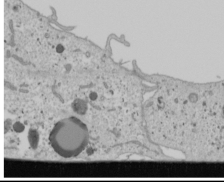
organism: Human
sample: Mitochondria in U2OS cells